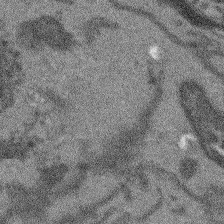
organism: Arabidopsis thaliana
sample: Root tip